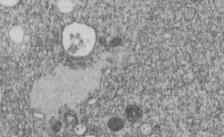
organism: C. elegans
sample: C. elegans embryo early stage